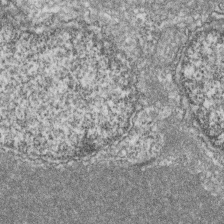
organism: Zebrafish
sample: Cilia; retinal pigment epithelium